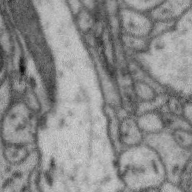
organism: Zebra finch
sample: Brain